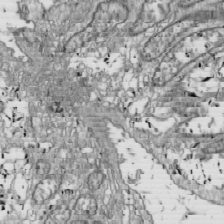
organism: Drosophila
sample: Cell division; meiosis; drosophila spermatocytes